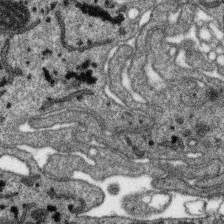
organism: Human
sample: Lung epithelial cells infected with SARS-CoV-2